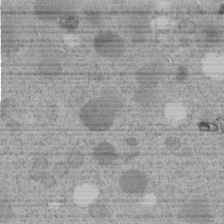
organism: C. elegans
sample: C. elegans embryo early stage